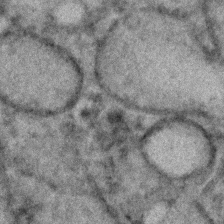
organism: C. elegans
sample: C. elegans embryo